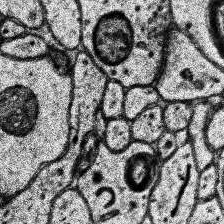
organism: Human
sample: Temporal Lobe